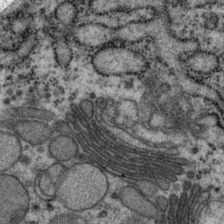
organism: P. pacificus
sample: Pharynx